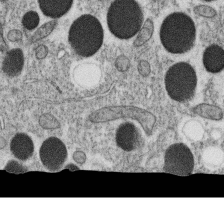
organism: C. elegans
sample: C. elegans oocyte; sperm cells